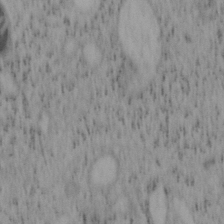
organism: Mouse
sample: OT-I killer T cells with ID8 ovarian cancer cells